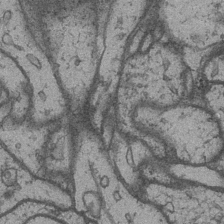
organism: Drosophila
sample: Optic medulla